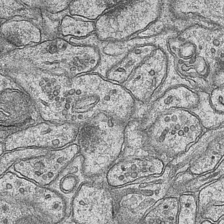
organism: Mouse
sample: CA1 Hippocampus